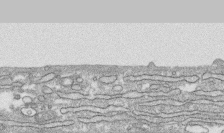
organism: Human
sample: CRL-1474